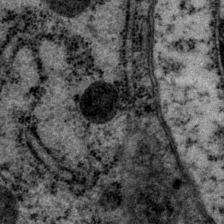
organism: P. pacificus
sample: Pharynx